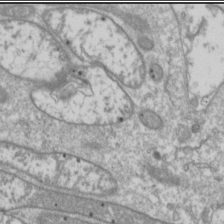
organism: Drosophila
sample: Cell division; meiosis; drosophila spermatocytes